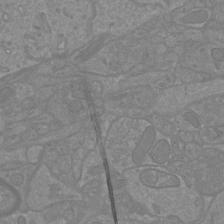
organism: Mouse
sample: Cortical neurons